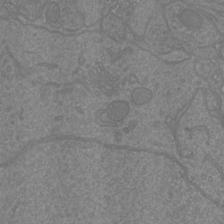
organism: Mouse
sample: Cortical neurons